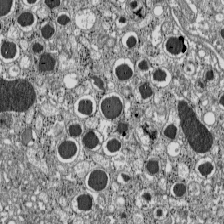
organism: C57BL Mouse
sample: Pancreatic islet